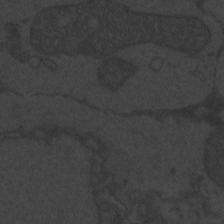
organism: Zebrafish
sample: Macrophage infected with Toxoplasma gondii